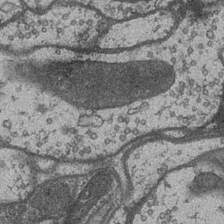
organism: Drosophila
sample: Optic medulla